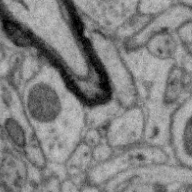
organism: Zebra finch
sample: Brain